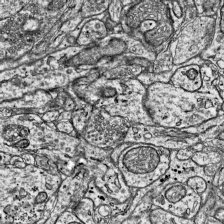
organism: Mouse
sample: Visual Cortex